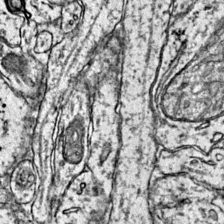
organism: Mouse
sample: Primary visual cortex